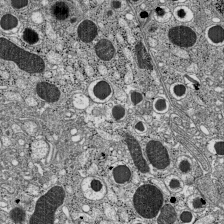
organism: C57BL Mouse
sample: Pancreatic islet